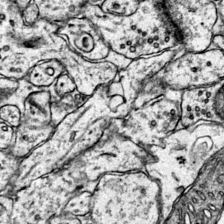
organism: Mouse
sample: Primary visual cortex